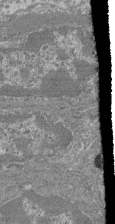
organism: Mouse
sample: Glomerulus